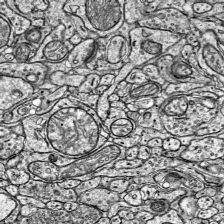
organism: Mouse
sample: Visual Cortex